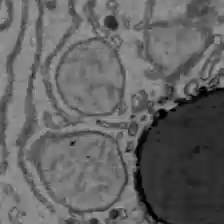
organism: C57BL Mouse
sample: Liver